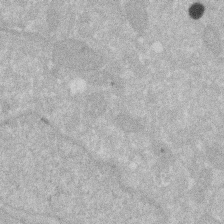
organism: Human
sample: HIV infected U937 cells